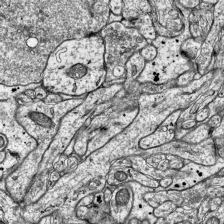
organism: Mouse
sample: Visual Cortex